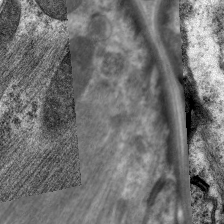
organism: C. elegans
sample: Pharynx